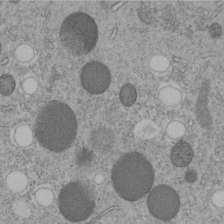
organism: C. elegans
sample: C. elegans embryo early stage